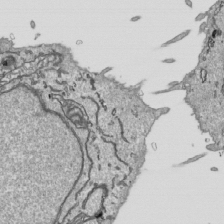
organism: Human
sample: Mitochondria in HCT116 cells